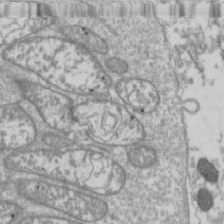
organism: Drosophila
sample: Cell division; meiosis; drosophila spermatocytes